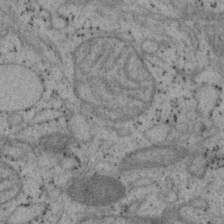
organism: Human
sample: HeLa cells